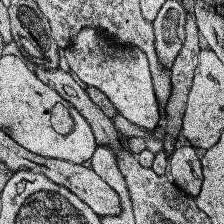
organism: Human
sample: Temporal Lobe